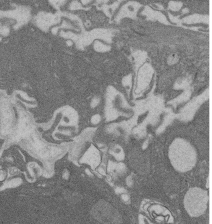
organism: Rat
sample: Salivary granule